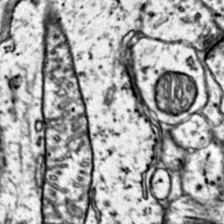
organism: Mouse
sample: Primary visual cortex